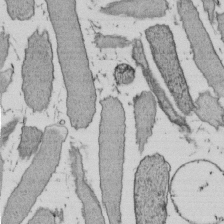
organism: E. coli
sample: Bacterial nucleoid